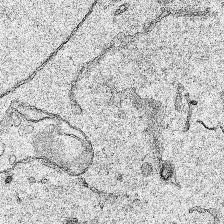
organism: Human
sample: Mitochondria in HCT116 cells